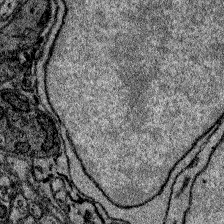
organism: Zebrafish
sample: Larval olfactory bulb